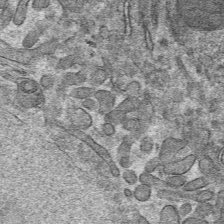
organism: Mouse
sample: Mouse hepatocytes